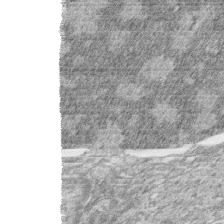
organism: Zebrafish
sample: synaptic ribbons in rod cells and cone cells